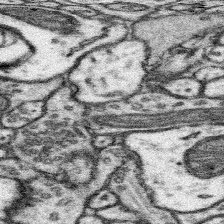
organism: Mouse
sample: Somatosensory cortex neuropil